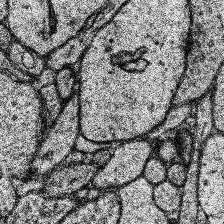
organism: Human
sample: Temporal Lobe